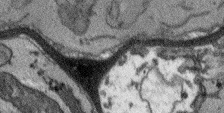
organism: Arabidopsis thaliana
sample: Root tip